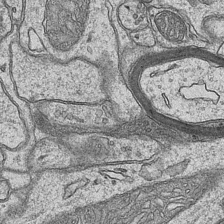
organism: Mouse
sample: CA1 Hippocampus